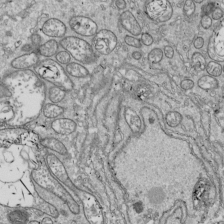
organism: Drosophila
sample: Cell division; meiosis; drosophila spermatocytes